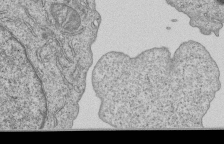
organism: Human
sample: MDA-MB-231 cells